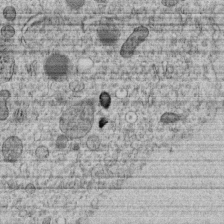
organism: C. elegans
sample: C. elegans embryo early stage